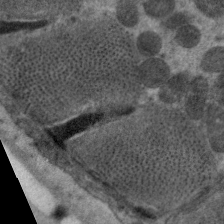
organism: C. elegans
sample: Pharynx